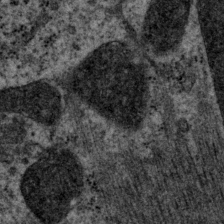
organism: P. pacificus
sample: Pharynx